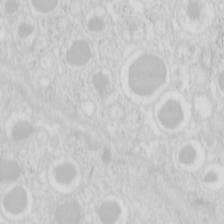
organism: Mouse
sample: Pancreas